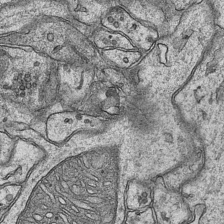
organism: Mouse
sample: CA1 Hippocampus